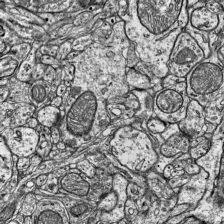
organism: Mouse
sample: Visual Cortex